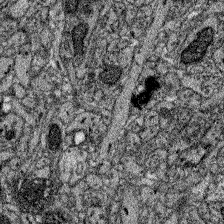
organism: Zebrafish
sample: Larval olfactory bulb